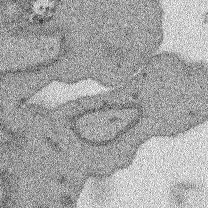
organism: Human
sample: HeLa cells